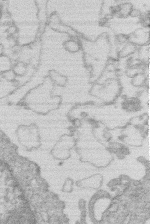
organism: Human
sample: Macrophage cells